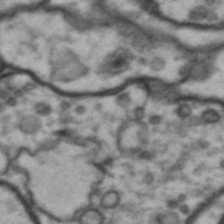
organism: Drosophila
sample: Brain